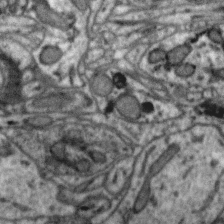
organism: Zebra finch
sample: Brain